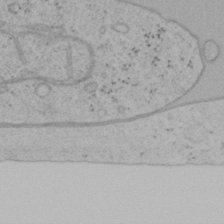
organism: Human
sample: HeLa cells